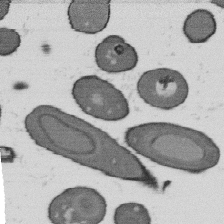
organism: B. subtilis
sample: Bacterial spore